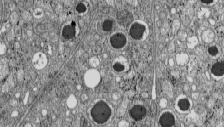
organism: C57BL Mouse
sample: Pancreatic islet